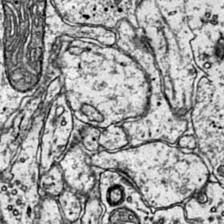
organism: Mouse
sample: Primary visual cortex